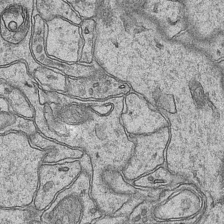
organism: Mouse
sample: CA1 Hippocampus